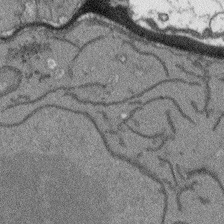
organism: Arabidopsis thaliana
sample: Root tip